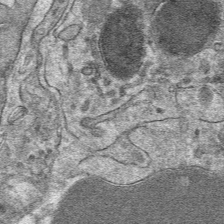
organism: Mouse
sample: Mouse hepatocytes